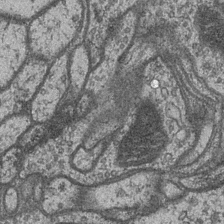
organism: Drosophila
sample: Optic medulla